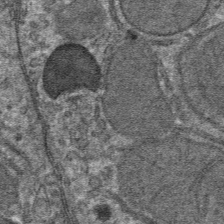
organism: Mouse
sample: Mouse hepatocytes